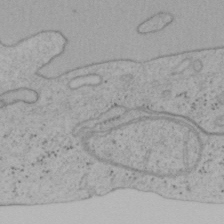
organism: Human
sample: HeLa cells